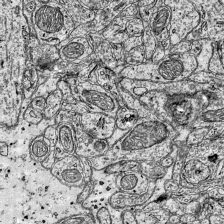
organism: Mouse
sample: Visual Cortex